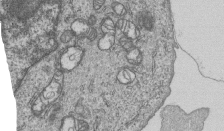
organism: Human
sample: MDA-MB-231 cells